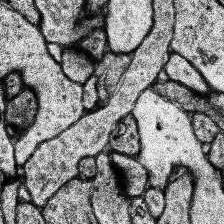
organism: Human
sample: Temporal Lobe